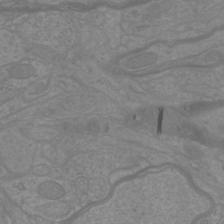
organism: Mouse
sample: Cortical neurons